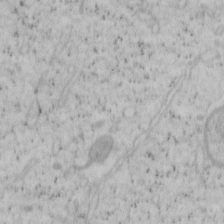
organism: Human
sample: HeLa cells